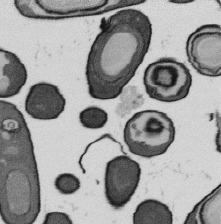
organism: B. subtilis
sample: Bacterial spore